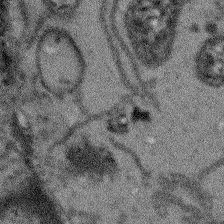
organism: Arabidopsis thaliana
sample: Root tip